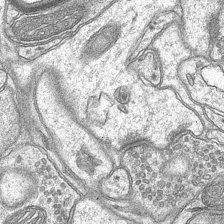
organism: Mouse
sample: CA1 Hippocampus